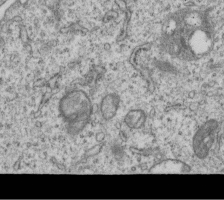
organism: Human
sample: MDA-MB-231 cells